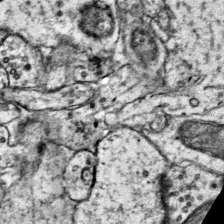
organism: Mouse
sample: Primary visual cortex